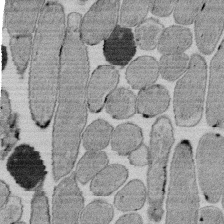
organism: E. coli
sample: Bacterial nucleoid